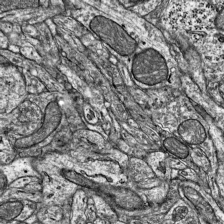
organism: Mouse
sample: Visual Cortex